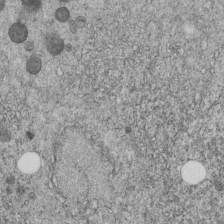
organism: C. elegans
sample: C. elegans embryo early stage